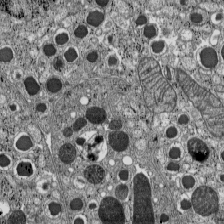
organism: C57BL Mouse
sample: Pancreatic islet